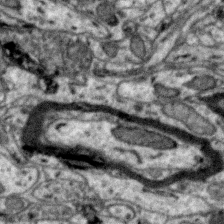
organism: Zebra finch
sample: Brain